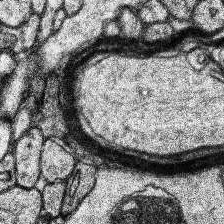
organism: Human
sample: Temporal Lobe